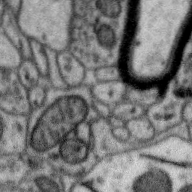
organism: Zebra finch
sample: Brain